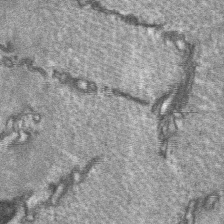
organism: C57BL Mouse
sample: Soleus